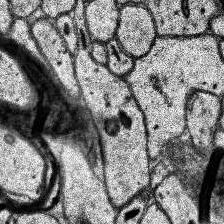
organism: Human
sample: Temporal Lobe